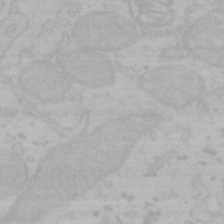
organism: Mouse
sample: Choroid plexus